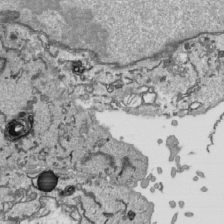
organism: Human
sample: Mitochondria in HCT116 cells